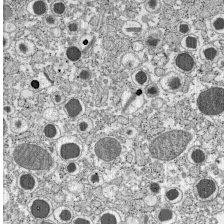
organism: C57BL Mouse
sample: Pancreatic islet